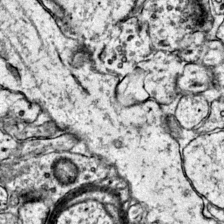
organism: Mouse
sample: Primary visual cortex